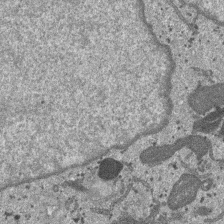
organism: Human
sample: Lung epithelial cells infected with SARS-CoV-2